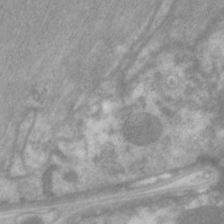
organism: C. elegans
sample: Pharynx